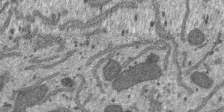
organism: Human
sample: Lung epithelial cells infected with SARS-CoV-2